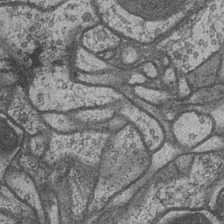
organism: Drosophila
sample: Optic medulla